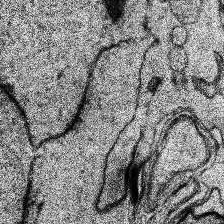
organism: Human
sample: Temporal Lobe